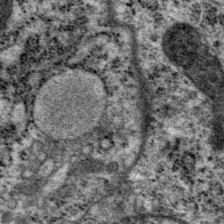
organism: P. pacificus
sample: Pharynx